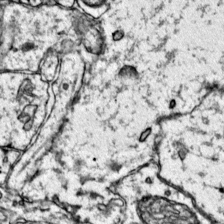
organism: Mouse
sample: Primary visual cortex